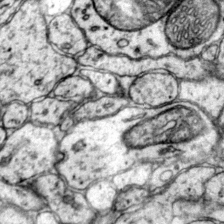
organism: Mouse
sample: Primary visual cortex